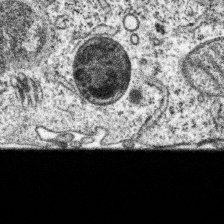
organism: Human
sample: HeLa cells